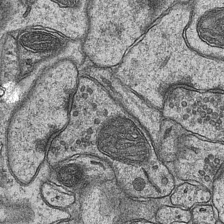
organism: Mouse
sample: CA1 Hippocampus